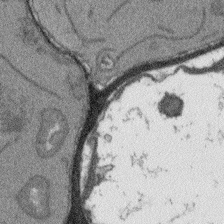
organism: Arabidopsis thaliana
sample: Root tip